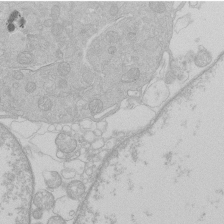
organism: Human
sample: Macrophage cells